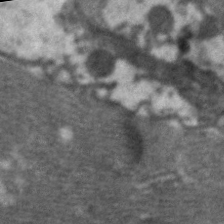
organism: C. elegans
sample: Pharynx